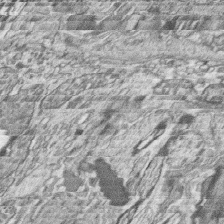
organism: Zebrafish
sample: synaptic ribbons in rod cells and cone cells